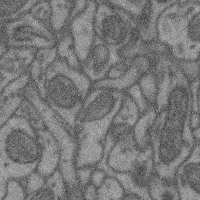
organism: Mouse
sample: Cerebral cortex